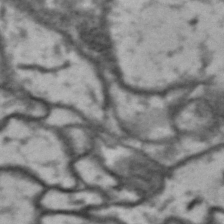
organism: Drosophila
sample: Brain